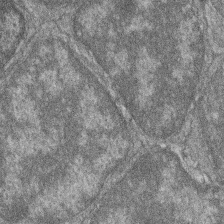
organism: Zebrafish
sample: Cilia; retinal pigment epithelium